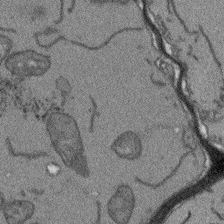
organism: Arabidopsis thaliana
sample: Root tip